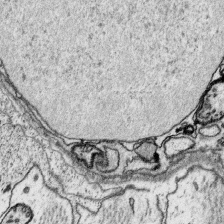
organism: Platynereis dumerilii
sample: Parapodia